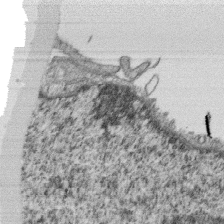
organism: African green monkey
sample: Vero E6 cells infected with SARS-CoV-2